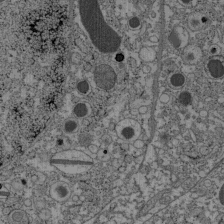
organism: C57BL Mouse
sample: Pancreatic islet